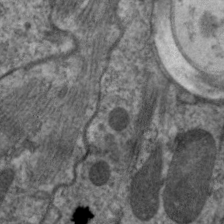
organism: C. elegans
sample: Pharynx